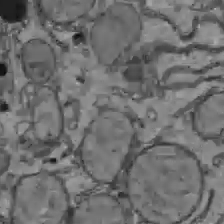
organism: C57BL Mouse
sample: Liver